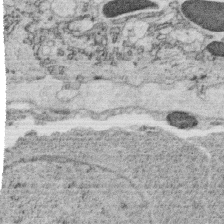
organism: C. elegans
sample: C. elegans oocyte; sperm cells